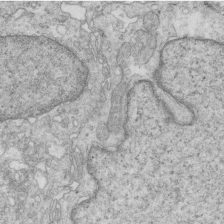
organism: Mouse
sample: Multiciliated cells